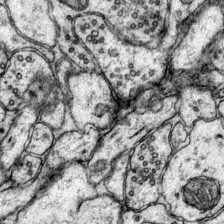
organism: Mouse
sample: Primary visual cortex